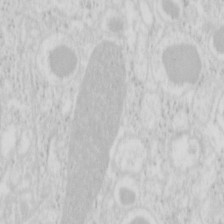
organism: Mouse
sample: Pancreas